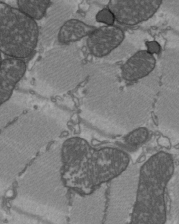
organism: C57BL Mouse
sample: Heart